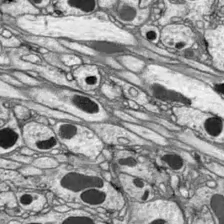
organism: Drosophila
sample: Optic lobe